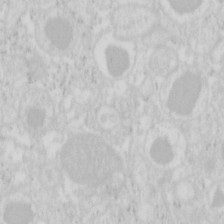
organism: Mouse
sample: Pancreas